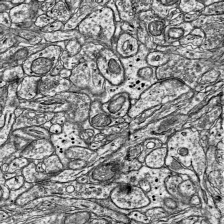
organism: Mouse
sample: Visual Cortex